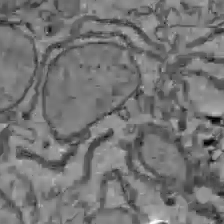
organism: C57BL Mouse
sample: Liver